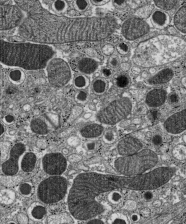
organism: C57BL Mouse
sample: Pancreatic islet